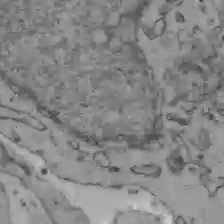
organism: C57BL Mouse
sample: Liver